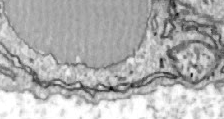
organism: Zebrafish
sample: Actinotrichia fibers